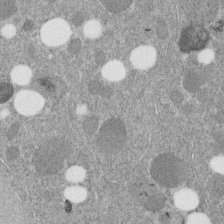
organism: C. elegans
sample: C. elegans embryo early stage